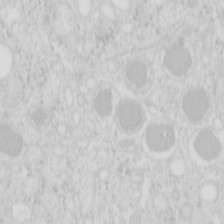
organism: Mouse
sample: Pancreas